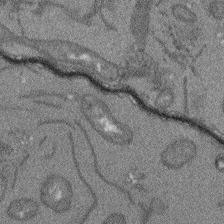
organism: Arabidopsis thaliana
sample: Root tip